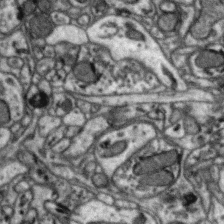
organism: Zebra finch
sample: Brain